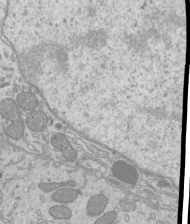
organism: Mouse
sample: Cilia; mouse epididymis